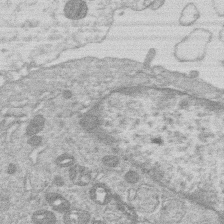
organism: Human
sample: Macrophage cells